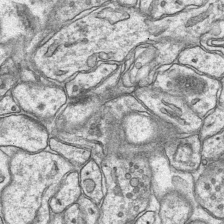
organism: Mouse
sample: CA1 Hippocampus